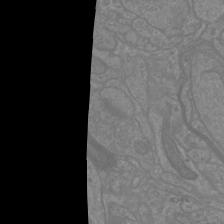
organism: Mouse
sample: Cortical neurons